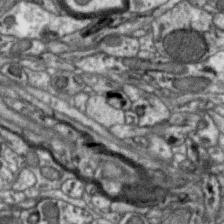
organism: Zebra finch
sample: Brain